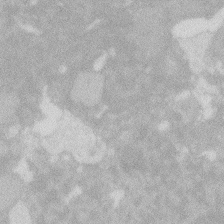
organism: Zebrafish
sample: Macrophage